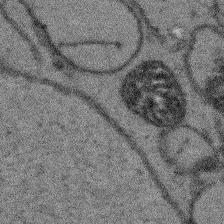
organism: Arabidopsis thaliana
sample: Root tip